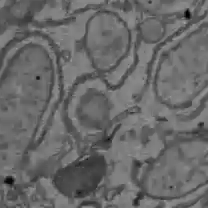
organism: C57BL Mouse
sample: Liver